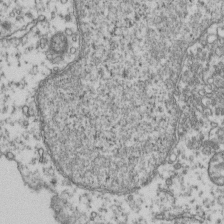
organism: Human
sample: Activated Jurkat CD4+ T cells